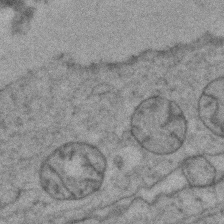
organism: Zebrafish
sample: Zebrafish embryo